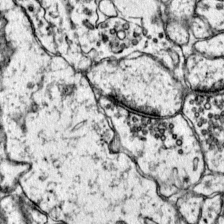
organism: Mouse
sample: Primary visual cortex